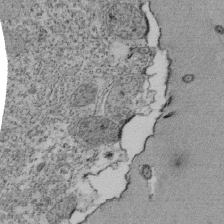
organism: Tetrahymena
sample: Cilia in tetrahymena